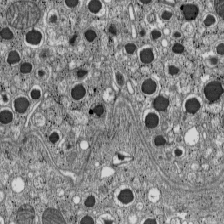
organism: C57BL Mouse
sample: Pancreatic islet